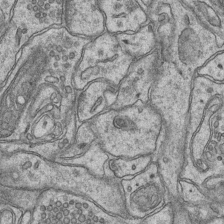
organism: Mouse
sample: CA1 Hippocampus